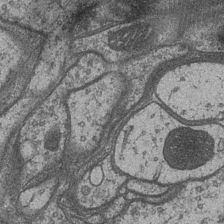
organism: Drosophila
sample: Optic medulla